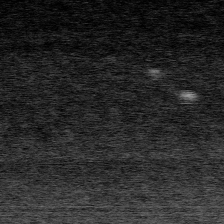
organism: Human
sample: HeLa cells